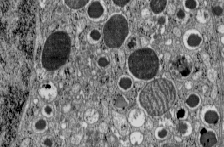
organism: C57BL Mouse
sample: Pancreatic islet